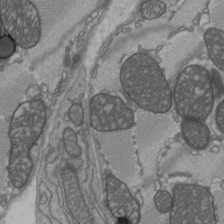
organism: C57BL Mouse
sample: Heart